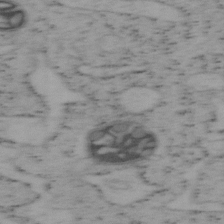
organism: Mouse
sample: OT-I killer T cells with ID8 ovarian cancer cells